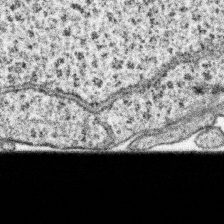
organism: Human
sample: HeLa cells